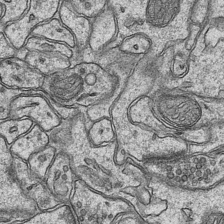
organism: Mouse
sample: CA1 Hippocampus